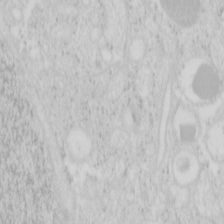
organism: Mouse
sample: Pancreas